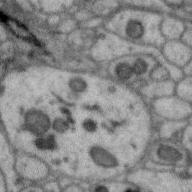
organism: Zebra finch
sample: Brain